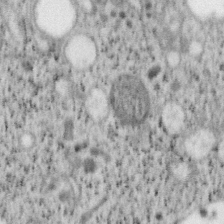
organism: Mouse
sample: OT-I killer T cells with ID8 ovarian cancer cells